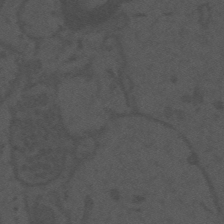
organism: Mouse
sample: Suprachiasmatic nucleus